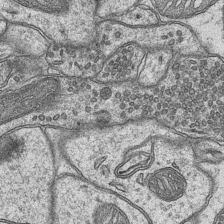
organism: Mouse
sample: CA1 Hippocampus